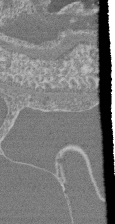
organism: Mouse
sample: Glomerulus